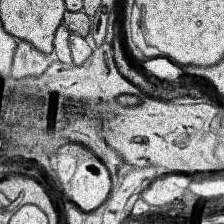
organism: Human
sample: Temporal Lobe